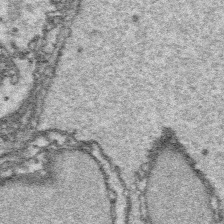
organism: Platynereis dumerilii